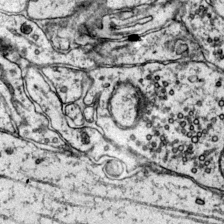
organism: Mouse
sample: Primary visual cortex